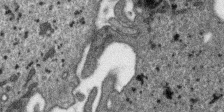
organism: Human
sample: Lung epithelial cells infected with SARS-CoV-2